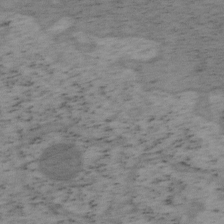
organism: Mouse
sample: OT-I killer T cells with ID8 ovarian cancer cells